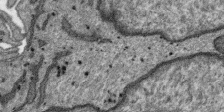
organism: Human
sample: Lung epithelial cells, uninfected (mock) control